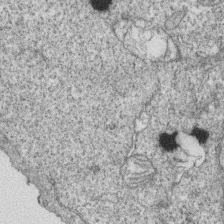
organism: Human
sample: HeLa cell HIV synapse